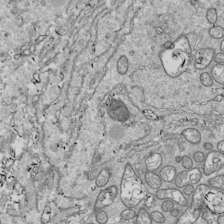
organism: Drosophila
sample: Cell division; meiosis; drosophila spermatocytes